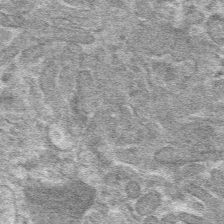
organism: Mouse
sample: Mouse hepatocytes